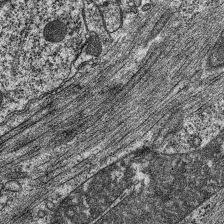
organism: C. elegans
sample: Pharynx